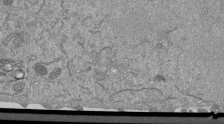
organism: Mouse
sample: ED-1 cell nuclei; centrioles